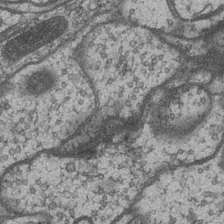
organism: Drosophila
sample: Optic medulla